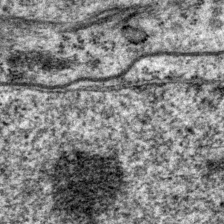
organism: P. pacificus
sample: Pharynx